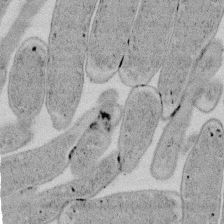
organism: E. coli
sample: Bacterial nucleoid